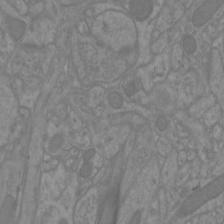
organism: Mouse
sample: Cortical neurons